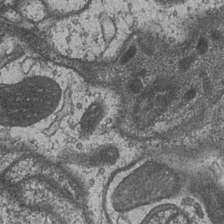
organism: Drosophila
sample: Optic medulla